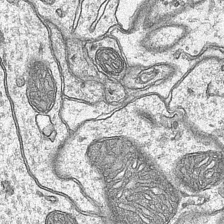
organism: Mouse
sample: CA1 Hippocampus